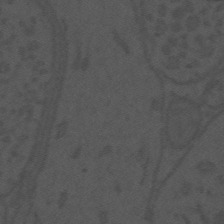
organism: Mouse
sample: Suprachiasmatic nucleus